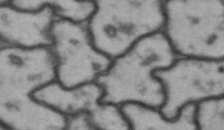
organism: Drosophila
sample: Brain